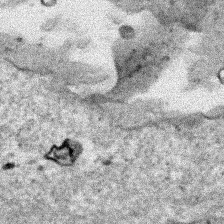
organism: Human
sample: Mitochondria in HCT116 cells